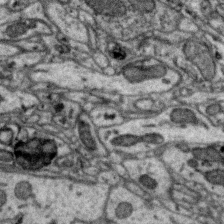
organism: Zebra finch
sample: Brain